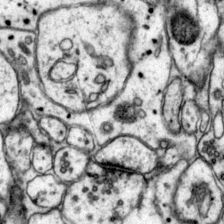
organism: Mouse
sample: Primary visual cortex